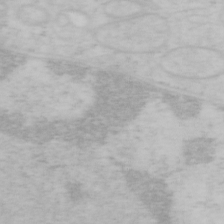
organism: Mouse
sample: OT-I killer T cells with ID8 ovarian cancer cells